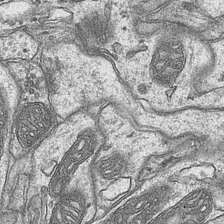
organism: Mouse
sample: CA1 Hippocampus